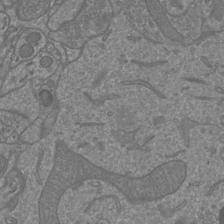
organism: Mouse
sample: Cortical neurons